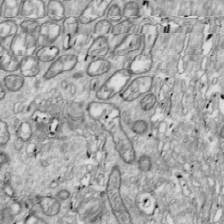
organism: Drosophila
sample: Cell division; meiosis; drosophila spermatocytes